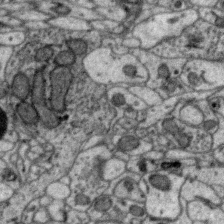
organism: Zebra finch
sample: Brain